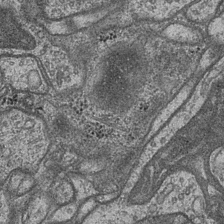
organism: Drosophila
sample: Optic medulla